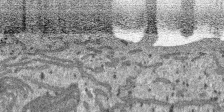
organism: Human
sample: Lung epithelial cells infected with SARS-CoV-2